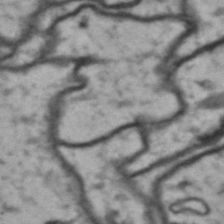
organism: Drosophila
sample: Brain